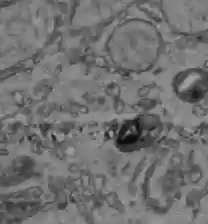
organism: C57BL Mouse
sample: Liver